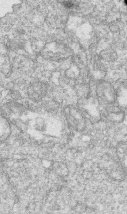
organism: Human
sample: HeLa cell HIV synapse